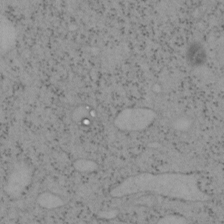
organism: Mouse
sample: OT-I killer T cells with ID8 ovarian cancer cells